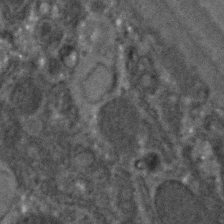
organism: C. elegans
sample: C. elegans embryo